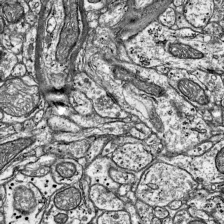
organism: Mouse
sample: Visual Cortex